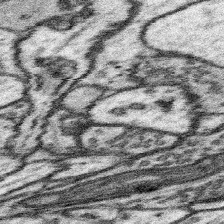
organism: Mouse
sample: Somatosensory cortex neuropil